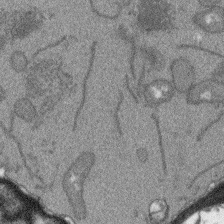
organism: Arabidopsis thaliana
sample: Root tip